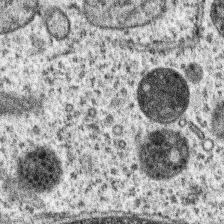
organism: Human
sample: HeLa cells